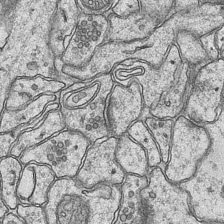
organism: Mouse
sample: CA1 Hippocampus